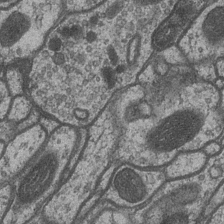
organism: Drosophila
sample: Optic medulla